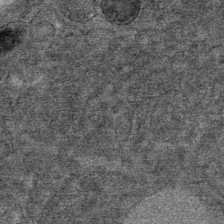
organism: Mouse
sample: Mouse Salivary gland